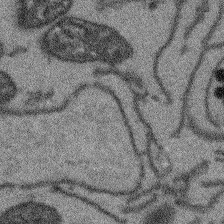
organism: Arabidopsis thaliana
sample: Root tip